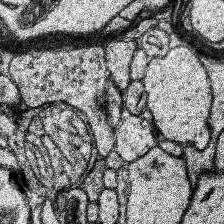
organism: Human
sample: Temporal Lobe